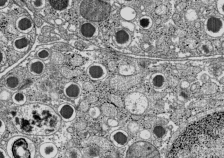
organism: C57BL Mouse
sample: Pancreatic islet